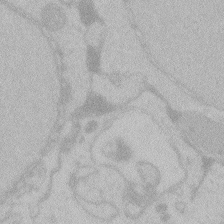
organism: Zebrafish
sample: Macrophage infected with Toxoplasma gondii